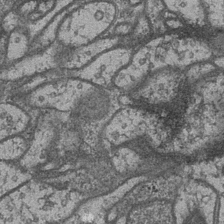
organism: Drosophila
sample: Optic medulla